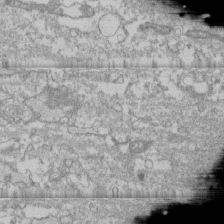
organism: Human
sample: CRL-1474